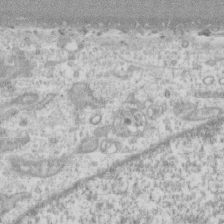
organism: Human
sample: CRL-1474